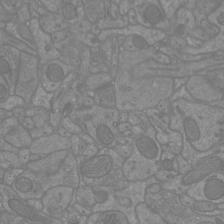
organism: Mouse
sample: Cortical neurons